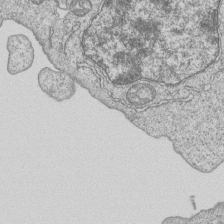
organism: Human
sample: MDA-MB-231 cells